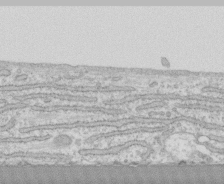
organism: Human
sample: CRL-1474